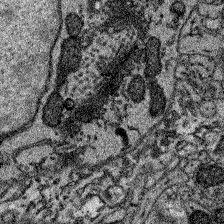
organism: Zebrafish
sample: Larval olfactory bulb